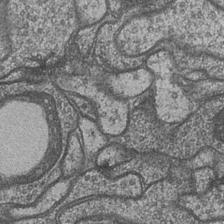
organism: Drosophila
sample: Optic medulla